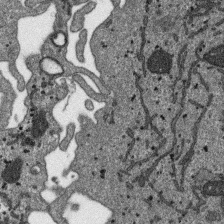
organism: Human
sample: Lung epithelial cells infected with SARS-CoV-2